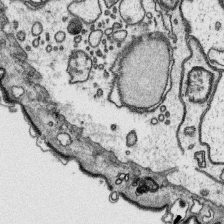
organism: Platynereis dumerilii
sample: Parapodia